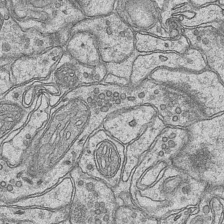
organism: Mouse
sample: CA1 Hippocampus